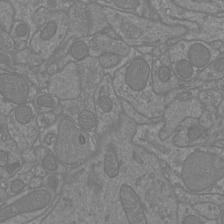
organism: Mouse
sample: Cortical neurons